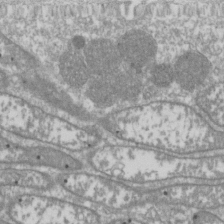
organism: Drosophila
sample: Cell division; meiosis; drosophila spermatocytes